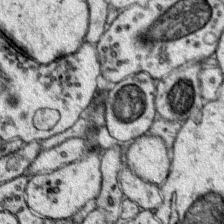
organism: Mouse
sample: Primary visual cortex